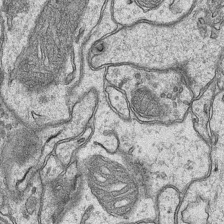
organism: Mouse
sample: CA1 Hippocampus